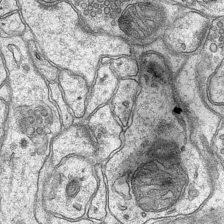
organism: Mouse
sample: CA1 Hippocampus